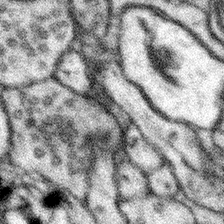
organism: Mouse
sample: Somatosensory cortex neuropil